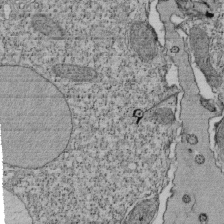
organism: Tetrahymena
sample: Cilia in tetrahymena